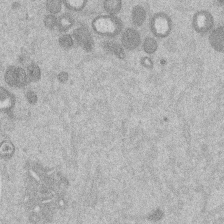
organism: Mouse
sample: Dividing mouse embryo 1 cell stage